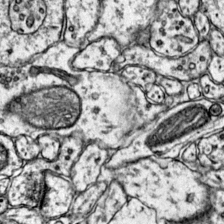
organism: Mouse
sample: Primary visual cortex